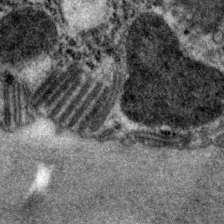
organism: P. pacificus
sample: Pharynx